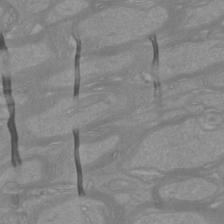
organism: Mouse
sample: Cortical neurons